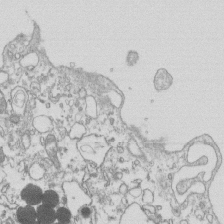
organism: Mouse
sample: Macrophages